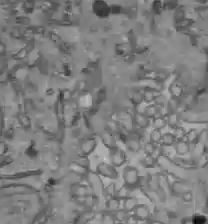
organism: C57BL Mouse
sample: Liver